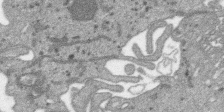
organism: Human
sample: Lung epithelial cells infected with SARS-CoV-2